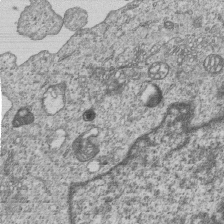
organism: Human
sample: MDA-MB-231 cells